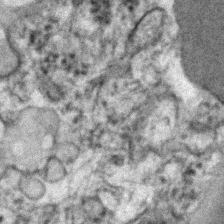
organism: Human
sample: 1205lu cells